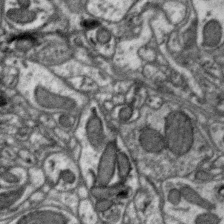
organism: Zebra finch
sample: Brain